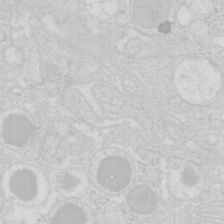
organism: Mouse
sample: Pancreas